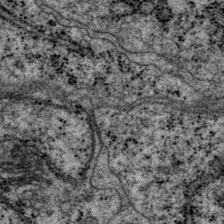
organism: P. pacificus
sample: Pharynx